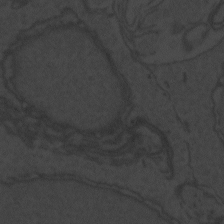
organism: Zebrafish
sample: Macrophage infected with Toxoplasma gondii